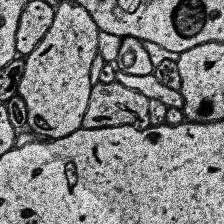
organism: Human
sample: Temporal Lobe